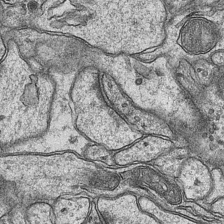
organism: Mouse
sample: CA1 Hippocampus